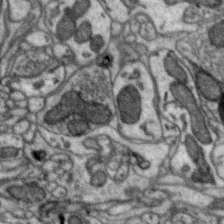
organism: Zebra finch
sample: Brain